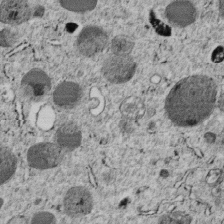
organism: C. elegans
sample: C. elegans embryo early stage